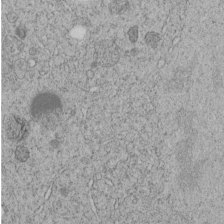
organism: C. elegans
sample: C. elegans embryo early stage